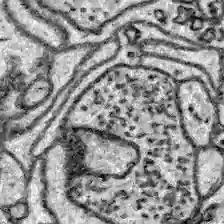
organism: Zebrafish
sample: Brain